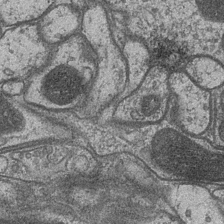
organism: Drosophila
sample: Optic medulla